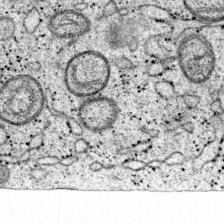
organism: Human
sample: HeLa cells